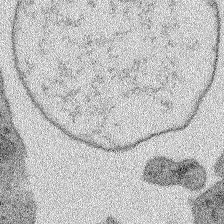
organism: Human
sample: HeLa cells